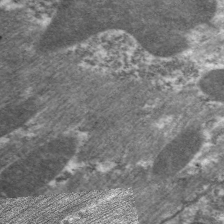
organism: C. elegans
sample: Pharynx